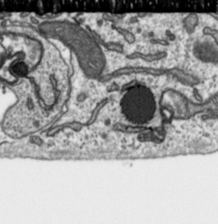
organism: Toxoplasma gondii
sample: Parasites in a vacuole inside a host cell